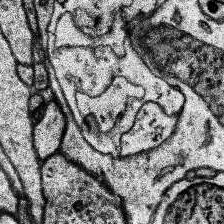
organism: Human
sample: Temporal Lobe